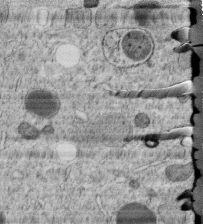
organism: C. elegans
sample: C. elegans embryo early stage